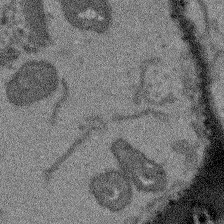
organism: Arabidopsis thaliana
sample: Root tip